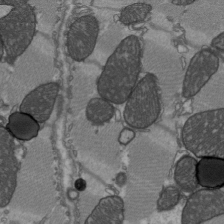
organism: C57BL Mouse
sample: Heart